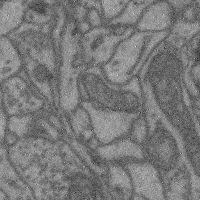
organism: Mouse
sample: Cerebral cortex